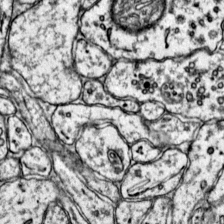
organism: Mouse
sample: Primary visual cortex